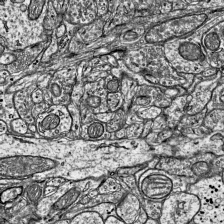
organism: Mouse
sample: Visual Cortex